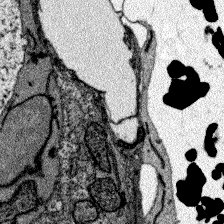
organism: Zebrafish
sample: Larval olfactory bulb